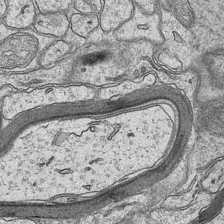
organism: Mouse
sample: CA1 Hippocampus